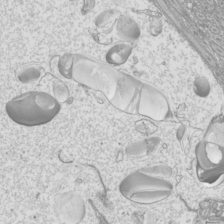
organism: Mouse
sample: Cilia; mouse epididymis